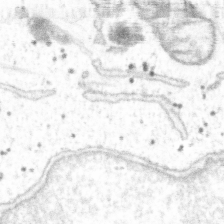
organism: Human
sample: HeLa cells